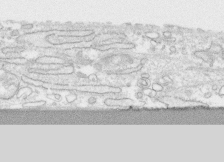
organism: Human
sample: CRL-1474